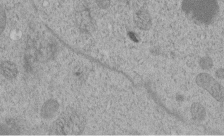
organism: C. elegans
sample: C. elegans embryo early stage